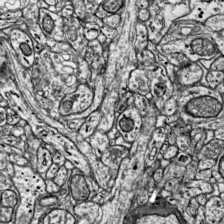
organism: Mouse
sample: Visual Cortex